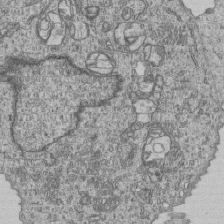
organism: Human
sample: MDA-MB-231 cells